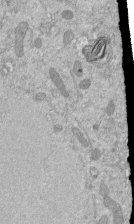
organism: Mouse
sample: ED-1 cell nuclei; centrioles